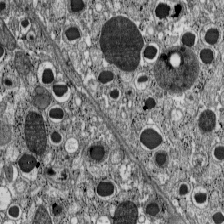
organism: C57BL Mouse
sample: Pancreatic islet